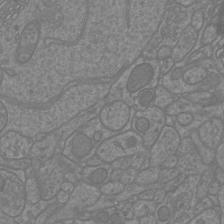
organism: Mouse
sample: Cortical neurons